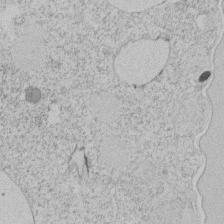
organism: Tetrahymena